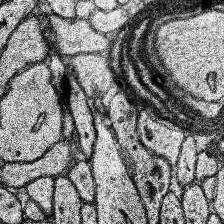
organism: Human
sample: Temporal Lobe